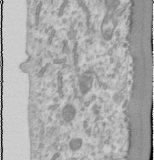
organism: Human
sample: Cilia; basal body in RPE cells